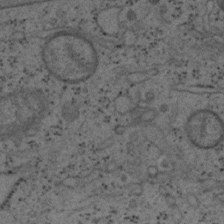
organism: Human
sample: HeLa cells